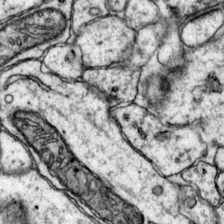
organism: Mouse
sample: Primary visual cortex